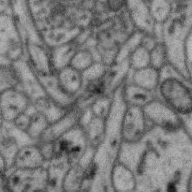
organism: Zebra finch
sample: Brain